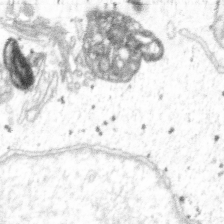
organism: Human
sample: HeLa cells